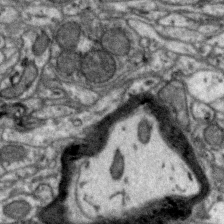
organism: Zebra finch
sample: Brain